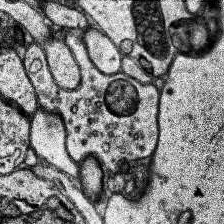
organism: Human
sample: Temporal Lobe